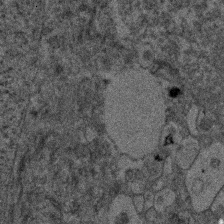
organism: Human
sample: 1205lu cells